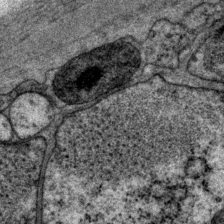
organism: P. pacificus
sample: Pharynx